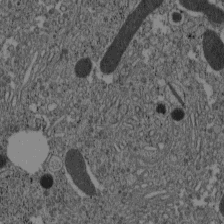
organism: C57BL Mouse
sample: Pancreatic islet